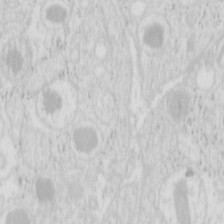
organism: Mouse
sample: Pancreas